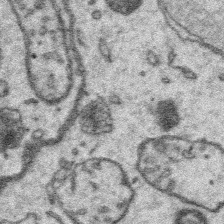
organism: Platynereis dumerilii